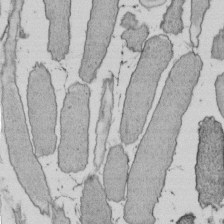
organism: E. coli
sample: Bacterial nucleoid